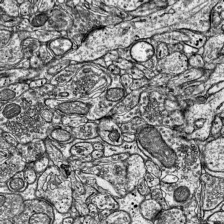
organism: Mouse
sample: Visual Cortex